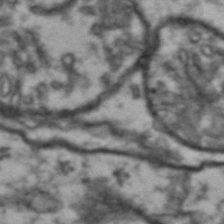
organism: Drosophila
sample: Brain